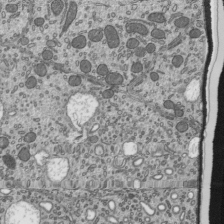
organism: Mouse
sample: Mouse epididymis efferent ductule cilia